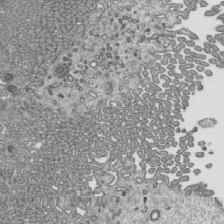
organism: Mouse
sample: Mouse epididymis efferent ductule cilia